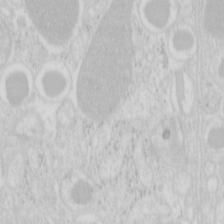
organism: Mouse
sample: Pancreas